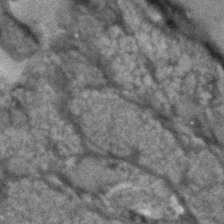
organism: Human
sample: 1205lu cells